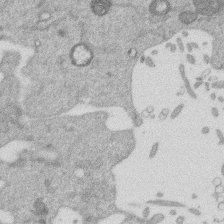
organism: Mouse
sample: Dividing mouse embryo 1 cell stage